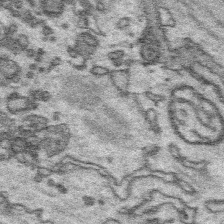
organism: Platynereis dumerilii